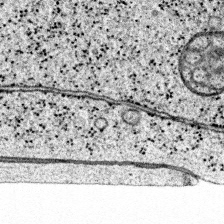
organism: Human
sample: HeLa cells